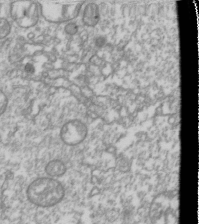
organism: Drosophila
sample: Cell division; meiosis; drosophila spermatocytes